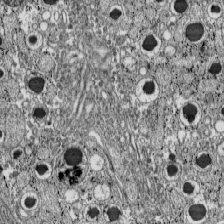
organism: C57BL Mouse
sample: Pancreatic islet